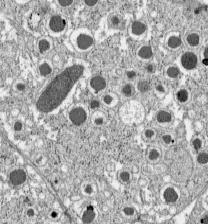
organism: C57BL Mouse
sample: Pancreatic islet